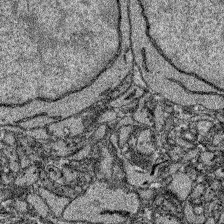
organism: Zebrafish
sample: Larval olfactory bulb